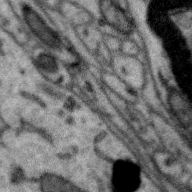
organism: Zebra finch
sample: Brain